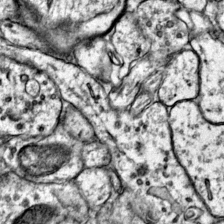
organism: Mouse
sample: Primary visual cortex